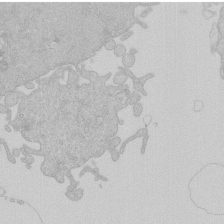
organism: Human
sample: Macrophage cells